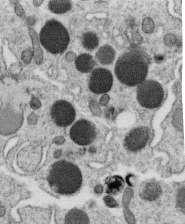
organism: C. elegans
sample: C. elegans oocyte; sperm cells